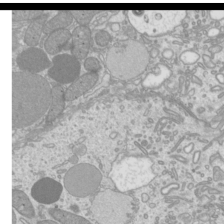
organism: Mouse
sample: Cilia; mouse epididymis